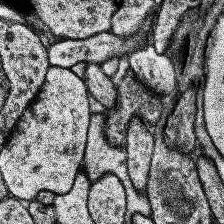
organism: Human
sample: Temporal Lobe